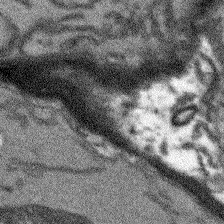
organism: Arabidopsis thaliana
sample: Root tip